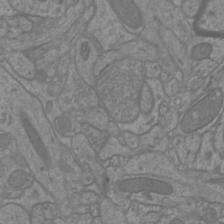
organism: Mouse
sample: Cortical neurons